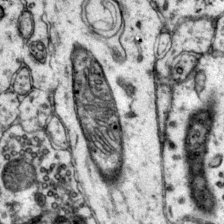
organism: Mouse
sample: Primary visual cortex